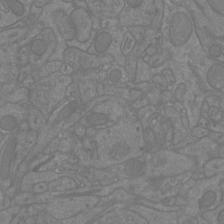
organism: Mouse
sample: Cortical neurons